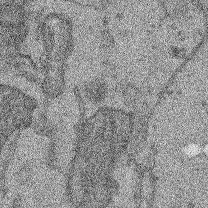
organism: Human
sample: HeLa cells